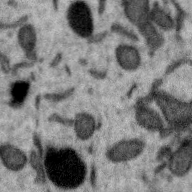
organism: Zebra finch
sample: Brain